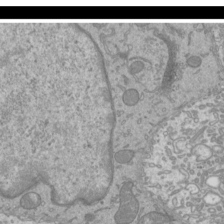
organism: Mouse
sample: Cilia; mouse epididymis